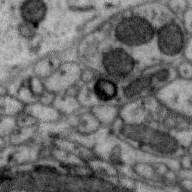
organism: Zebra finch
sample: Brain